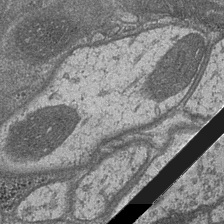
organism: Drosophila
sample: Optic medulla